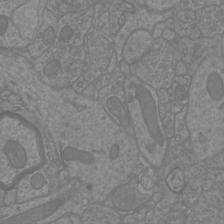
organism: Mouse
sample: Cortical neurons